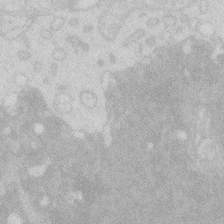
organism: Zebrafish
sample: Macrophage